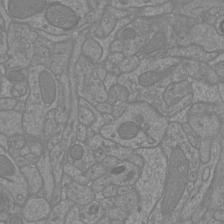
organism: Mouse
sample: Cortical neurons